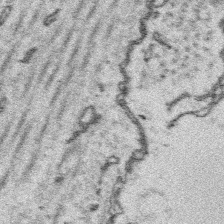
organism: Platynereis dumerilii